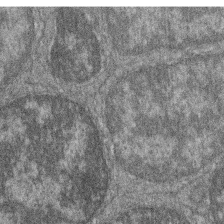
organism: Zebrafish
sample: Cilia; retinal pigment epithelium